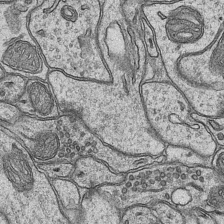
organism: Mouse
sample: CA1 Hippocampus